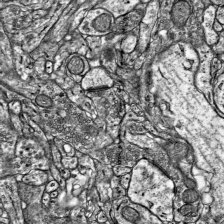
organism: Mouse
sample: Visual Cortex